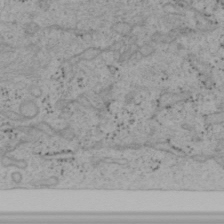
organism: Human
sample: HeLa cells